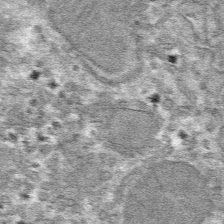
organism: Mouse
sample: Mouse hepatocytes